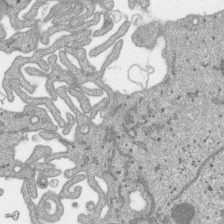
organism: Human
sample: Lung epithelial cells infected with SARS-CoV-2